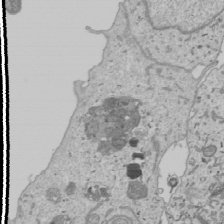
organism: Human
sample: Mitochondria in U2OS cells